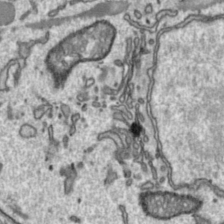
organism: Toxoplasma gondii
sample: Parasites in a vacuole inside a host cell